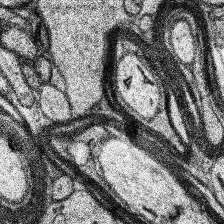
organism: Human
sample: Temporal Lobe